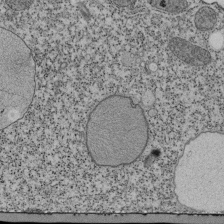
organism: Tetrahymena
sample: Cilia in tetrahymena